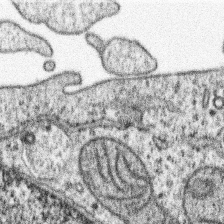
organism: Human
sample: HeLa cells